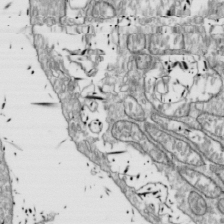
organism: Drosophila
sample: Cell division; meiosis; drosophila spermatocytes